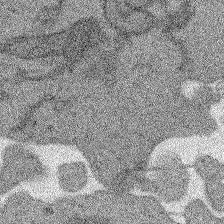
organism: Human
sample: HeLa cells